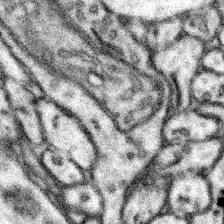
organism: Mouse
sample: Somatosensory cortex neuropil